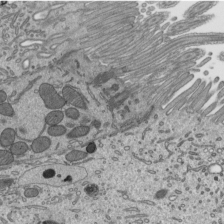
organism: Mouse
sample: Mouse epididymis efferent ductule cilia